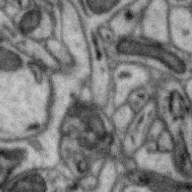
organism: Zebra finch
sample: Brain